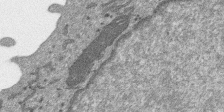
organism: Human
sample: Lung epithelial cells infected with SARS-CoV-2